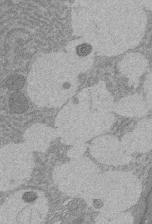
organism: Rat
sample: Salivary granule